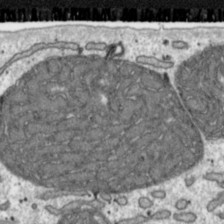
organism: Toxoplasma gondii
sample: Parasites in a vacuole inside a host cell